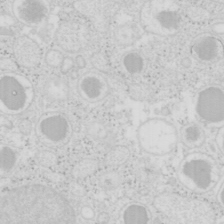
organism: Mouse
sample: Pancreas